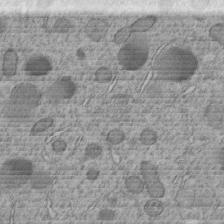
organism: C. elegans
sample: C. elegans embryo early stage